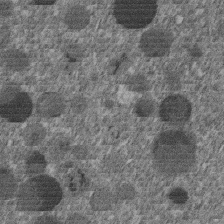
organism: C. elegans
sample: C. elegans embryo early stage